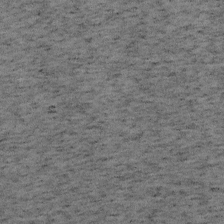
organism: Mouse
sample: OT-I killer T cells with ID8 ovarian cancer cells